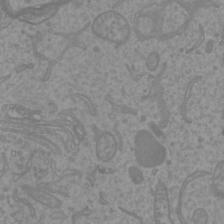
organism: Mouse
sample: Cortical neurons